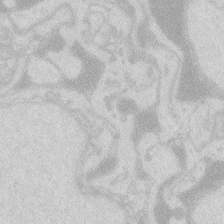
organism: Zebrafish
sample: Macrophage